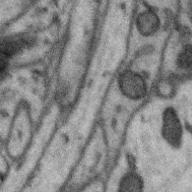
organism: Zebra finch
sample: Brain